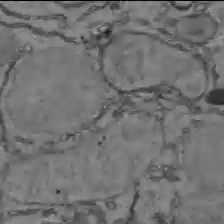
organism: C57BL Mouse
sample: Liver